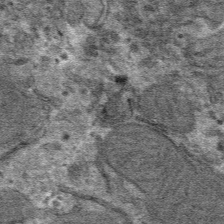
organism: Mouse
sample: Mouse hepatocytes